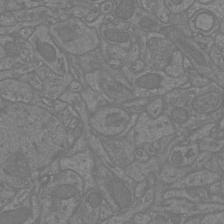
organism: Mouse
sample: Cortical neurons